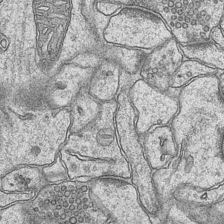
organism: Mouse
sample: CA1 Hippocampus